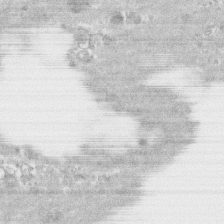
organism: Human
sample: CRL-1474